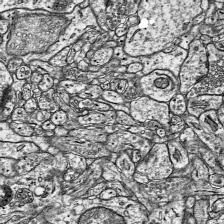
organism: Mouse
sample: Visual Cortex